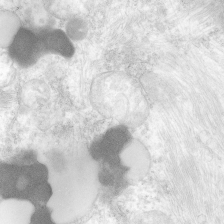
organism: Human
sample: Neocortex